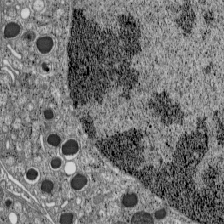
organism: C57BL Mouse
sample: Pancreatic islet